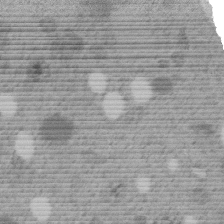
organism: C. elegans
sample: C. elegans embryo early stage